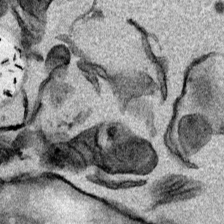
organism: Mouse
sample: Cancer cell death in ED-1 cells